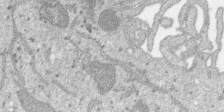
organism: Human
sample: Lung epithelial cells infected with SARS-CoV-2